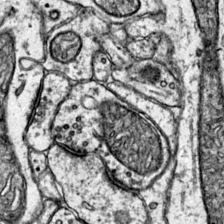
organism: Mouse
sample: Primary visual cortex